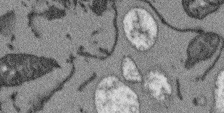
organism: Arabidopsis thaliana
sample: Root tip